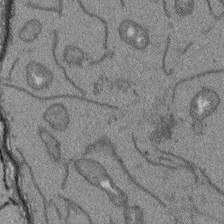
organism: Arabidopsis thaliana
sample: Root tip